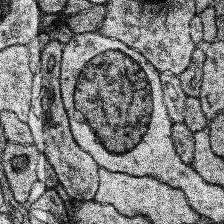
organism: Human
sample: Temporal Lobe